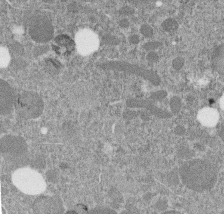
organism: C. elegans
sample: C. elegans embryo early stage